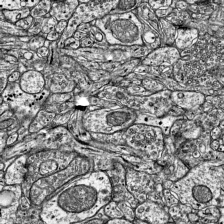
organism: Mouse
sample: Visual Cortex